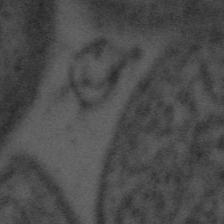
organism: Tuwongella immobilis